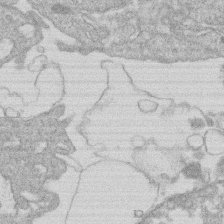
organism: Human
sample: Macrophage cells